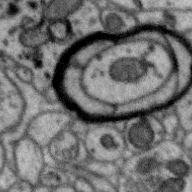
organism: Zebra finch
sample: Brain